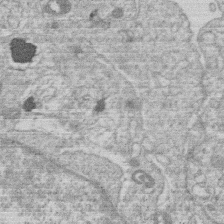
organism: Human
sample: Macrophage cells